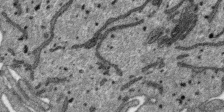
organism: Human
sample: Lung epithelial cells, uninfected (mock) control